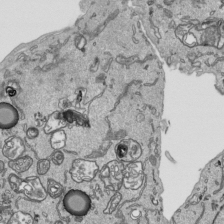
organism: Human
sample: Mitochondria in HCT116 cells